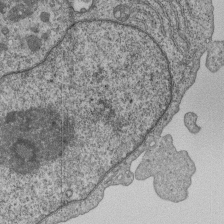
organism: Human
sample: MDA-MB-231 cells